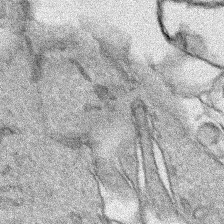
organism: Human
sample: Mitochondria in HCT116 cells